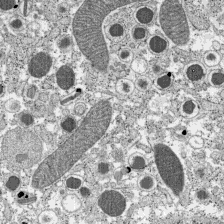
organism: C57BL Mouse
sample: Pancreatic islet